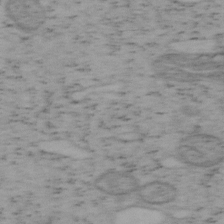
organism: Mouse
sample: OT-I killer T cells with ID8 ovarian cancer cells